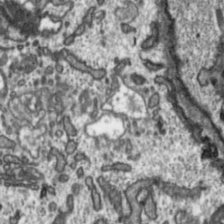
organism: Toxoplasma gondii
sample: Parasites in a vacuole inside a host cell